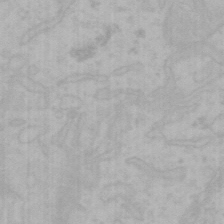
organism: Mouse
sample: Choroid plexus